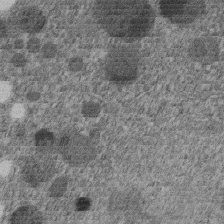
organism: C. elegans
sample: C. elegans embryo early stage